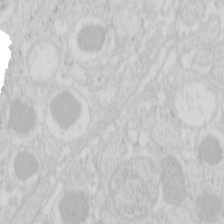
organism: Mouse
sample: Pancreas